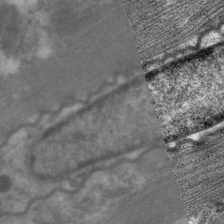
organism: C. elegans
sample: Pharynx